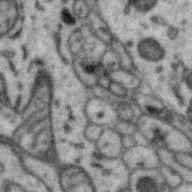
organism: Zebra finch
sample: Brain